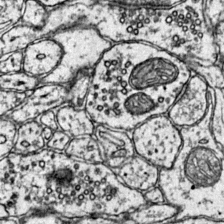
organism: Mouse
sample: Primary visual cortex